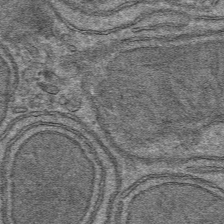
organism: Mouse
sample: Mouse hepatocytes